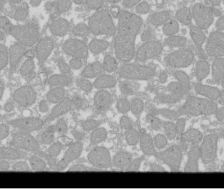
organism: Xenopus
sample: Cilia; centrioles in frog embryo cells